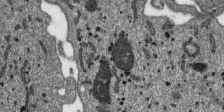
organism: Human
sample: Lung epithelial cells infected with SARS-CoV-2